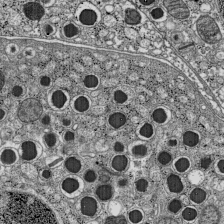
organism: C57BL Mouse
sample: Pancreatic islet